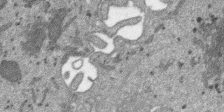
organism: Human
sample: Lung epithelial cells infected with SARS-CoV-2